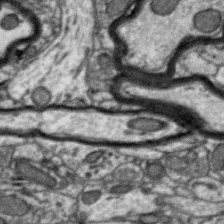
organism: Zebra finch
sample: Brain